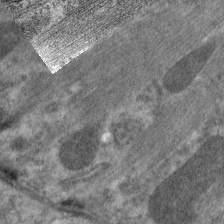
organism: C. elegans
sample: Pharynx